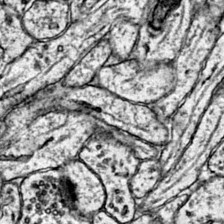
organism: Mouse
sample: Primary visual cortex